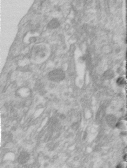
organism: Human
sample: Centriole in RPE cells